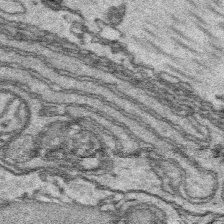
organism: Platynereis dumerilii